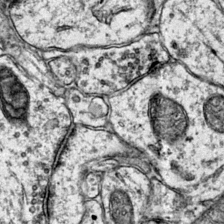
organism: Mouse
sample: Primary visual cortex